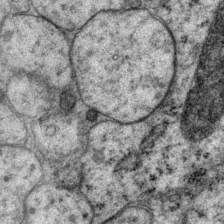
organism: P. pacificus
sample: Pharynx